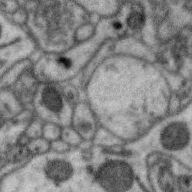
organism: Zebra finch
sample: Brain